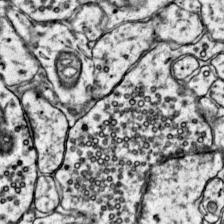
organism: Mouse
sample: Primary visual cortex